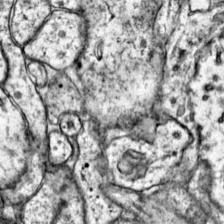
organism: Mouse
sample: Primary visual cortex